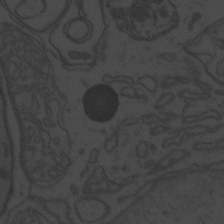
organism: Zebrafish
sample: Macrophage infected with Toxoplasma gondii